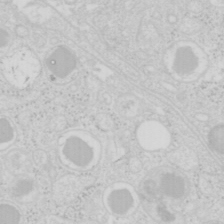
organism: Mouse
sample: Pancreas